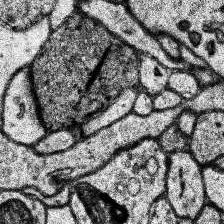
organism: Human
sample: Temporal Lobe